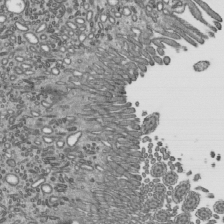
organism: Mouse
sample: Mouse epididymis efferent ductule cilia